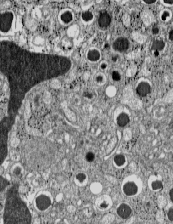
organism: C57BL Mouse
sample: Pancreatic islet